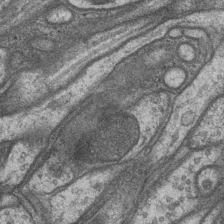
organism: Drosophila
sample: Optic medulla